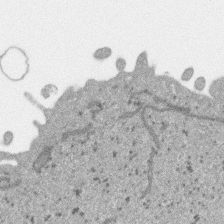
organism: Human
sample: Lung epithelial cells infected with SARS-CoV-2